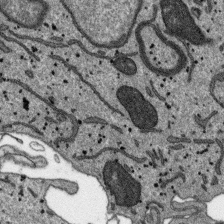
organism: Human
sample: Lung epithelial cells, uninfected (mock) control